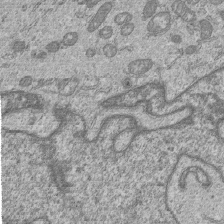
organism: Human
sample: MDA-MB-231 cells